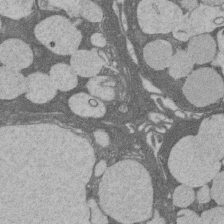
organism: Rat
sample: Salivary granule